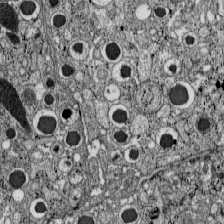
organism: C57BL Mouse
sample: Pancreatic islet